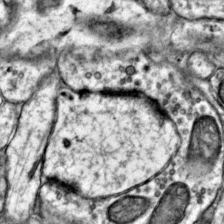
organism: Mouse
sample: Primary visual cortex